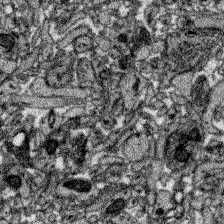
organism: Zebrafish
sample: Larval olfactory bulb